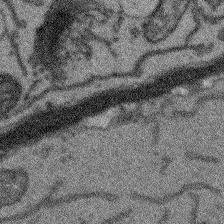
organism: Arabidopsis thaliana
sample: Root tip